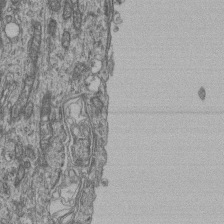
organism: Human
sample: Retinal organoid Rod and Cone cells